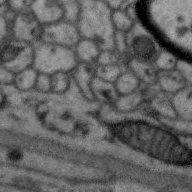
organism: Zebra finch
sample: Brain